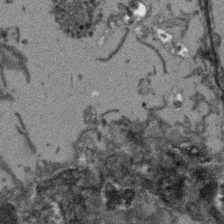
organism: Arabidopsis thaliana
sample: Root tip